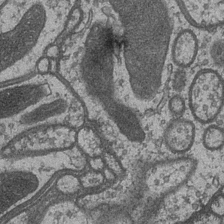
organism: Drosophila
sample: Optic medulla